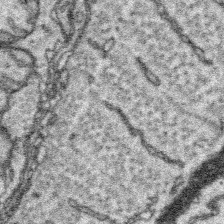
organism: Platynereis dumerilii